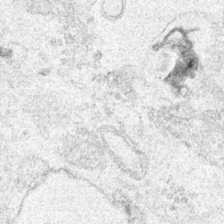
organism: Human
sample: Mitochondria in HCT116 cells